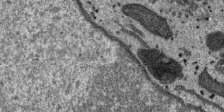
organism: Human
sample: Lung epithelial cells, uninfected (mock) control